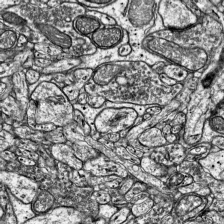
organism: Mouse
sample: Visual Cortex